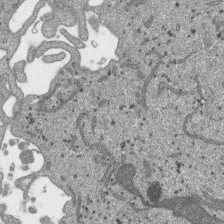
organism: Human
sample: Lung epithelial cells infected with SARS-CoV-2